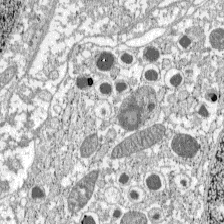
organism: C57BL Mouse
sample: Pancreatic islet